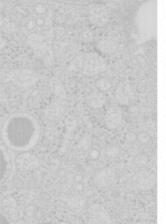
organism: Mouse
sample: Pancreas